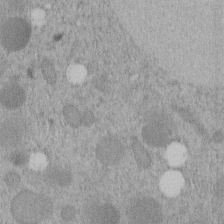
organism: C. elegans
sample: C. elegans embryo early stage